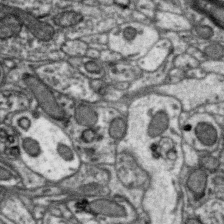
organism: Zebra finch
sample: Brain